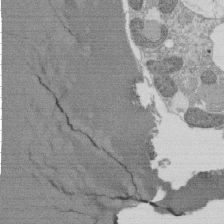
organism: Tetrahymena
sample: Cilia in tetrahymena